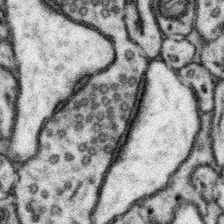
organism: Mouse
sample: Somatosensory cortex neuropil